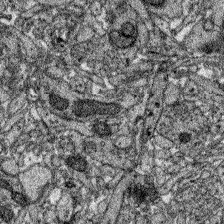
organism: Zebrafish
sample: Larval olfactory bulb